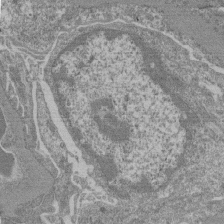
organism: Mouse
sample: Glomerulus